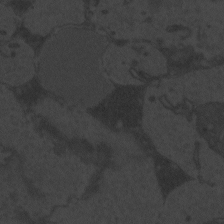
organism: Zebrafish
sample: Macrophage infected with Toxoplasma gondii